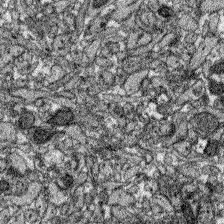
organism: Zebrafish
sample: Larval olfactory bulb